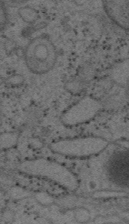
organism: Human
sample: HeLa cells